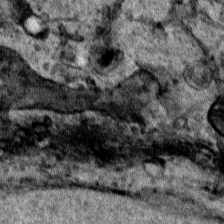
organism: Human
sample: Mitochondria in HCT116 cells